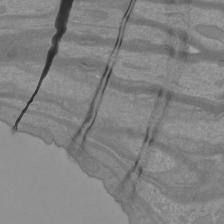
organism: Mouse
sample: Cortical neurons